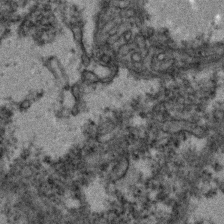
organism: Zebrafish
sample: Zebrafish embryo